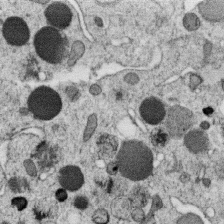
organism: C. elegans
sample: C. elegans oocyte; sperm cells